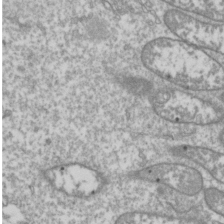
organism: Drosophila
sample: Cell division; meiosis; drosophila spermatocytes